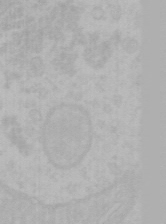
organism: Mouse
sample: Choroid plexus